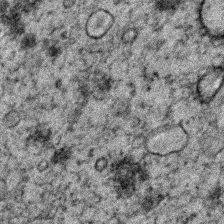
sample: Trachea